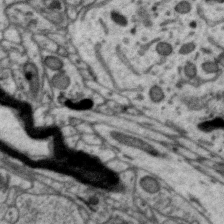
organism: Zebra finch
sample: Brain